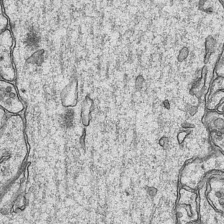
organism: Mouse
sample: CA1 Hippocampus